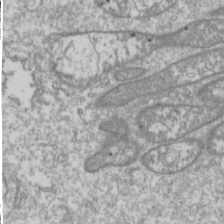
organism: Drosophila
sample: Cell division; meiosis; drosophila spermatocytes